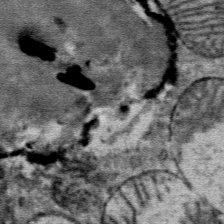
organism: Mouse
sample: Mouse Salivary gland